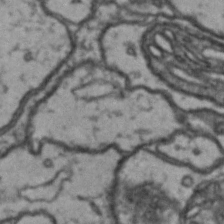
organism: Drosophila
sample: Brain